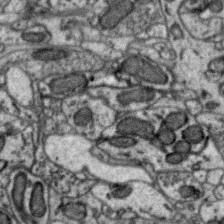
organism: Zebra finch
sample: Brain